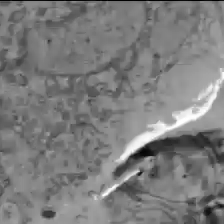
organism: C57BL Mouse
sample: Liver